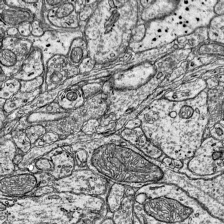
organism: Mouse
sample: Visual Cortex